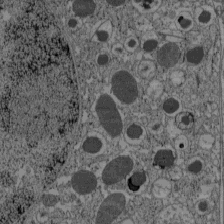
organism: C57BL Mouse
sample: Pancreatic islet